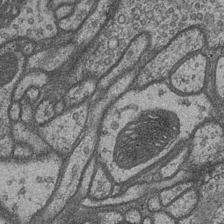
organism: Drosophila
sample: Optic medulla